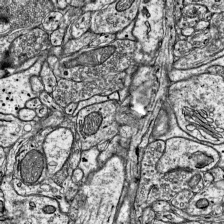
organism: Mouse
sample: Visual Cortex